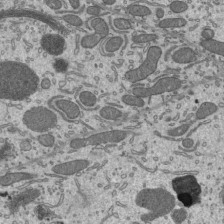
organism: Mouse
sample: Mouse epididymis efferent ductule cilia